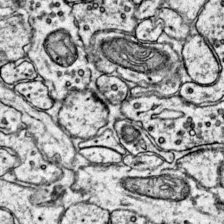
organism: Mouse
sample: Primary visual cortex